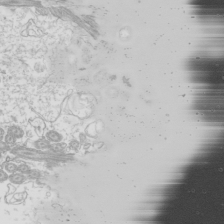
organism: Mouse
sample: Cilia; mouse epididymis